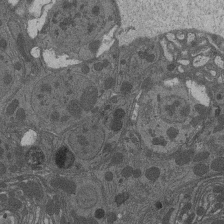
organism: Drosophila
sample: Antenna